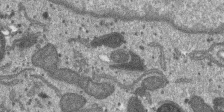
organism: Human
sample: Lung epithelial cells infected with SARS-CoV-2